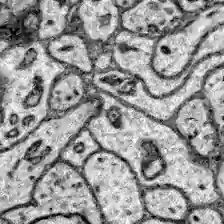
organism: Zebrafish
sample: Brain